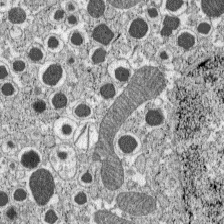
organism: C57BL Mouse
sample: Pancreatic islet